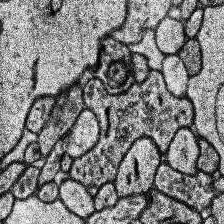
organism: Human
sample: Temporal Lobe